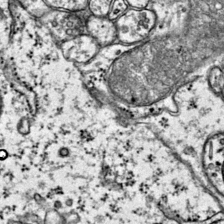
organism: Mouse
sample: Primary visual cortex